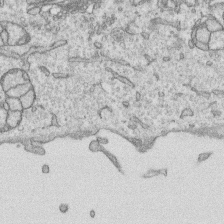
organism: Human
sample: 1205lu cells